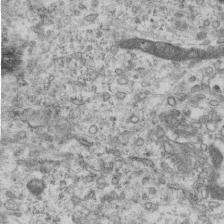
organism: Mouse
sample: Centriole in ependymal cells